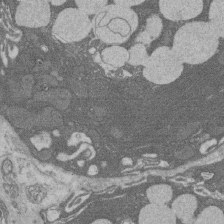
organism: Rat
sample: Salivary granule